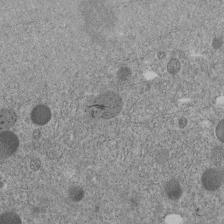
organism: C. elegans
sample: C. elegans embryo early stage